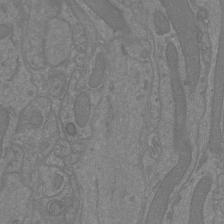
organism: Mouse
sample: Cortical neurons